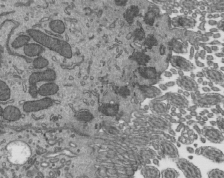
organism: Mouse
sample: Mouse epididymis efferent ductule cilia